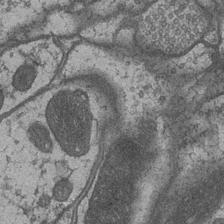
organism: Drosophila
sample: Optic medulla